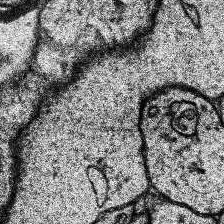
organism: Human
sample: Temporal Lobe